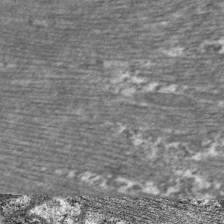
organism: C. elegans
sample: Pharynx